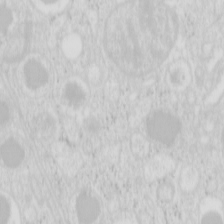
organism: Mouse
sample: Pancreas